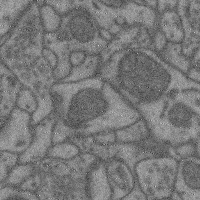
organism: Mouse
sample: Cerebral cortex